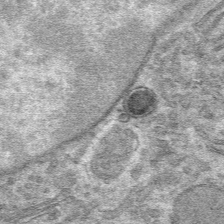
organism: Mouse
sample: Mouse hepatocytes